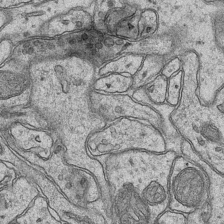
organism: Mouse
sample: CA1 Hippocampus